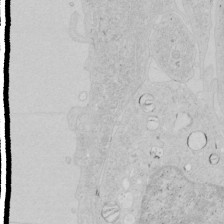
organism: Human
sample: Mitochondria in HCT116 cells